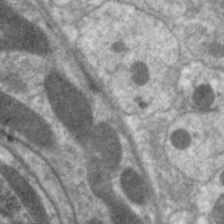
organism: C. elegans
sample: Pharynx